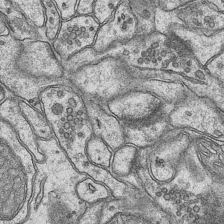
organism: Mouse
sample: CA1 Hippocampus